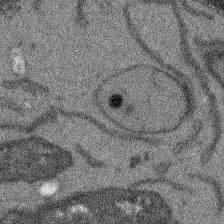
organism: Arabidopsis thaliana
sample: Root tip